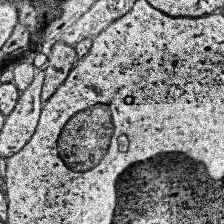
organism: Human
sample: Temporal Lobe